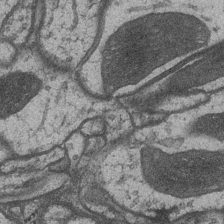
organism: Drosophila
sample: Optic medulla